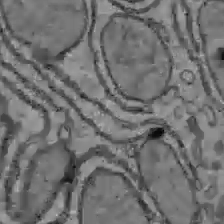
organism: C57BL Mouse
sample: Liver